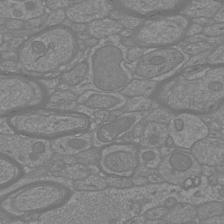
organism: Mouse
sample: Cortical neurons